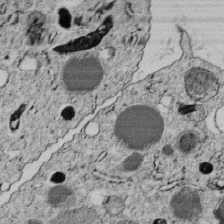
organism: C. elegans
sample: C. elegans embryo early stage